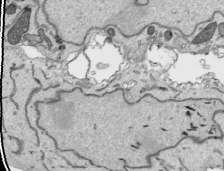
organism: Human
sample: Mitochondria in HCT116 cells